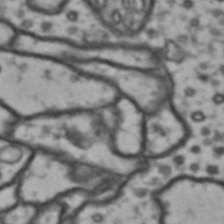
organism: Drosophila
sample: Brain